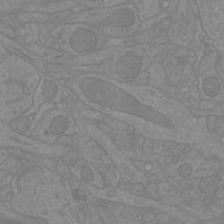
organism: Mouse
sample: Cortical neurons